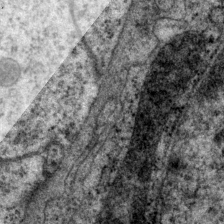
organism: P. pacificus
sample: Pharynx